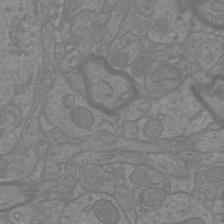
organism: Mouse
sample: Cortical neurons